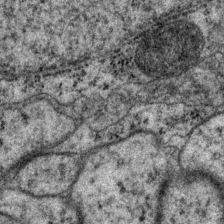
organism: P. pacificus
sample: Pharynx